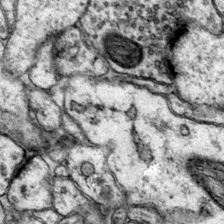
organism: Mouse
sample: Primary visual cortex